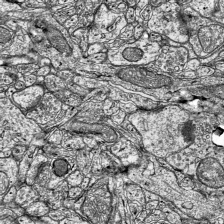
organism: Mouse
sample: Visual Cortex